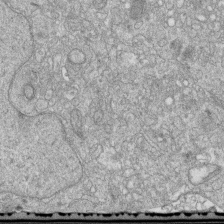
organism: Human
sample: HeLa cell HIV synapse